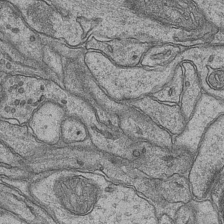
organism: Mouse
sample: CA1 Hippocampus